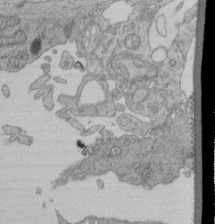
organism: Human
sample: Retinal organoid Rod and Cone cells